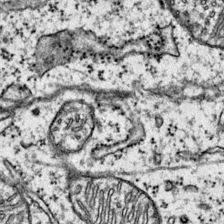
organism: Mouse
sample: Primary visual cortex